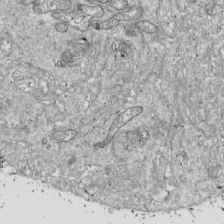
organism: Drosophila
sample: Cell division; meiosis; drosophila spermatocytes